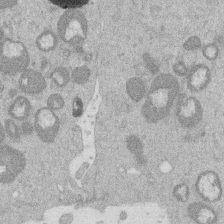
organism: Mouse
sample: Dividing mouse embryo 1 cell stage